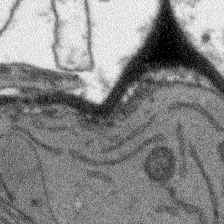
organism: Arabidopsis thaliana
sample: Root tip